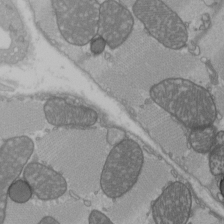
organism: C57BL Mouse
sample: Heart